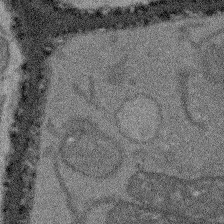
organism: Arabidopsis thaliana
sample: Root tip